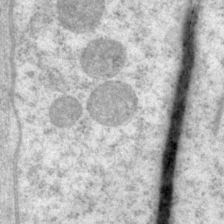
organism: P. pacificus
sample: Pharynx